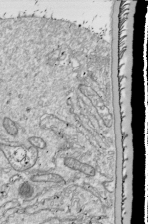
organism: Drosophila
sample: Cell division; meiosis; drosophila spermatocytes